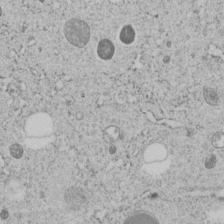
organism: C. elegans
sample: C. elegans embryo early stage